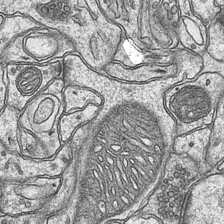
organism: Mouse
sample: CA1 Hippocampus